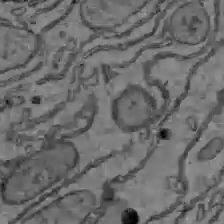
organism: C57BL Mouse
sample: Liver